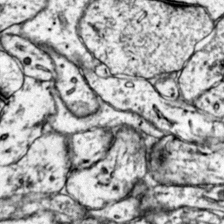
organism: Mouse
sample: Primary visual cortex